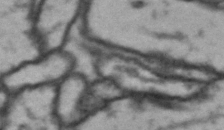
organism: Drosophila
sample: Brain